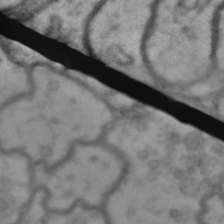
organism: Drosophila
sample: Brain